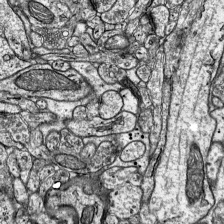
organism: Mouse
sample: Visual Cortex